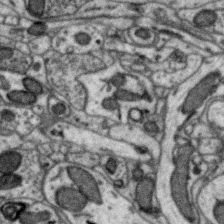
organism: Zebra finch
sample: Brain